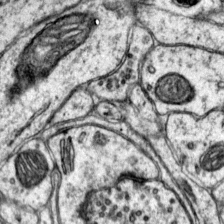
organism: Mouse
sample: Primary visual cortex